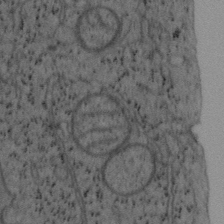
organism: Human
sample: HeLa cells